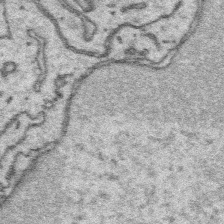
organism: Platynereis dumerilii